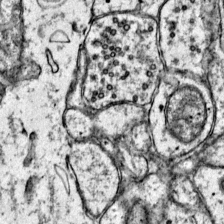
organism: Mouse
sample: Primary visual cortex